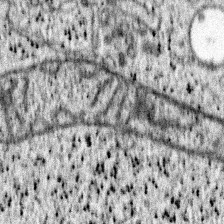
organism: Human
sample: HeLa cells